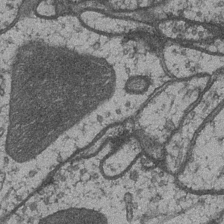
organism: Drosophila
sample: Optic medulla